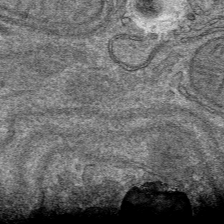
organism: Mouse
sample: Mouse hepatocytes